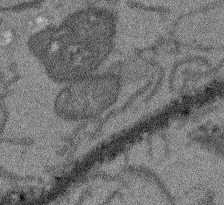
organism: Arabidopsis thaliana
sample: Root tip